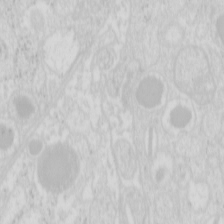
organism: Mouse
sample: Pancreas